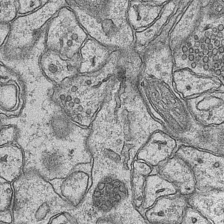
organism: Mouse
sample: CA1 Hippocampus